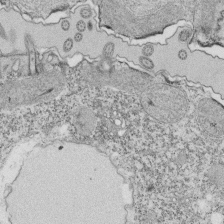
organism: Tetrahymena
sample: Cilia in tetrahymena